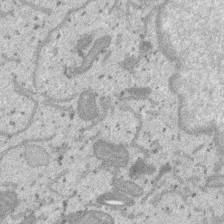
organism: Human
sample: Lung epithelial cells infected with SARS-CoV-2